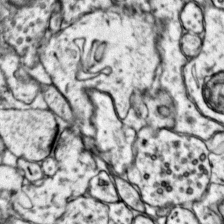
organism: Mouse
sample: Primary visual cortex